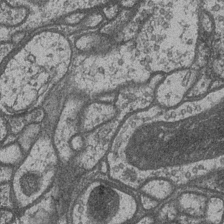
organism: Drosophila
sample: Optic medulla